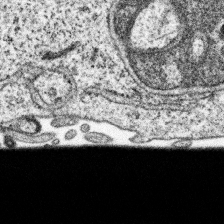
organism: Human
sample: HeLa cells